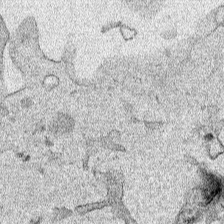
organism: Human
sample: Mitochondria in HCT116 cells